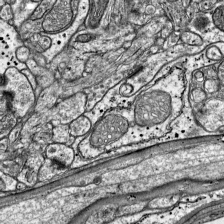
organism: Mouse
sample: Visual Cortex